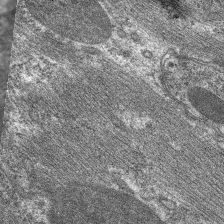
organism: C. elegans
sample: Pharynx